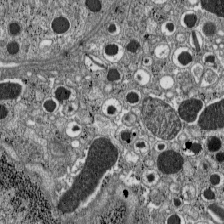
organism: C57BL Mouse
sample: Pancreatic islet